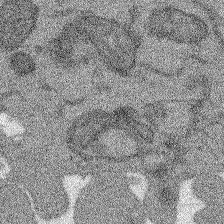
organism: Human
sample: HeLa cells